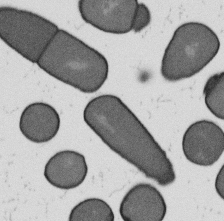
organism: B. subtilis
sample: Bacterial spore